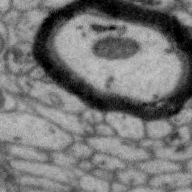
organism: Zebra finch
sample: Brain